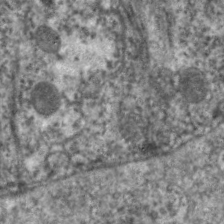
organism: C. elegans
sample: Pharynx